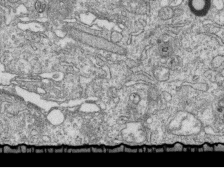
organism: Human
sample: HeLa cell HIV synapse